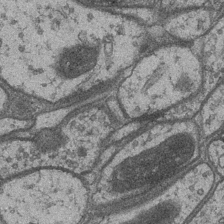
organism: Drosophila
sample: Optic medulla